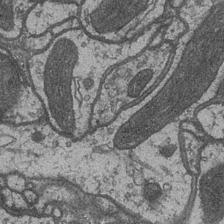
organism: Drosophila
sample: Optic medulla